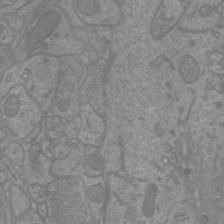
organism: Mouse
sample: Cortical neurons